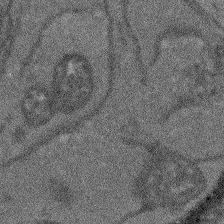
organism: Arabidopsis thaliana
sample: Root tip